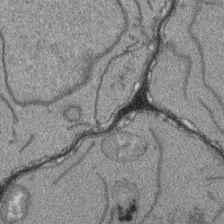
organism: Arabidopsis thaliana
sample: Root tip